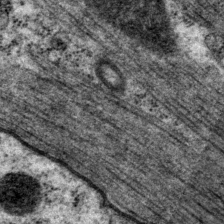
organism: P. pacificus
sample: Pharynx